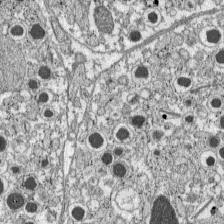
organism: C57BL Mouse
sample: Pancreatic islet